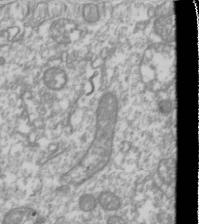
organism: Drosophila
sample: Cell division; meiosis; drosophila spermatocytes